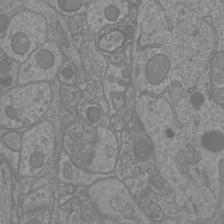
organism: Mouse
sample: Cortical neurons